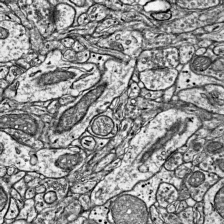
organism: Mouse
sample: Visual Cortex